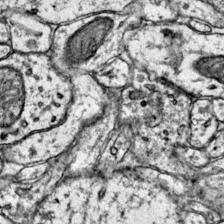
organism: Mouse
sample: Primary visual cortex